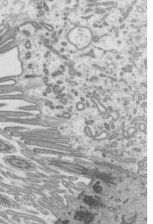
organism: Mouse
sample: Mouse epididymis efferent ductule cilia